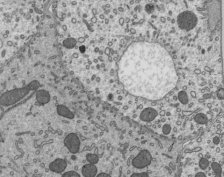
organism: Mouse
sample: Mouse epididymis efferent ductule cilia